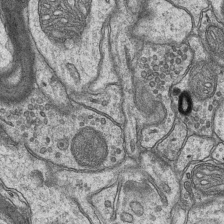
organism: Mouse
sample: CA1 Hippocampus